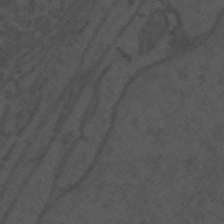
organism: Mouse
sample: Suprachiasmatic nucleus